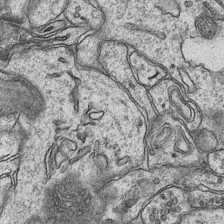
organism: Mouse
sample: CA1 Hippocampus